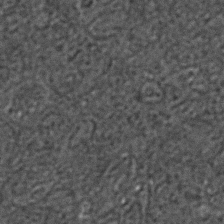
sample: Trachea